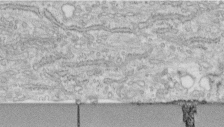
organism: Human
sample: Centriole in fibroblast cells